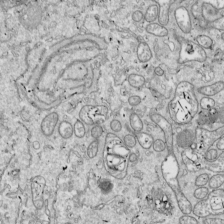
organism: Drosophila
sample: Cell division; meiosis; drosophila spermatocytes